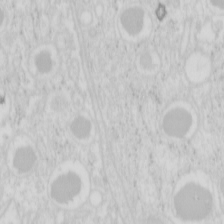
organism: Mouse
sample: Pancreas